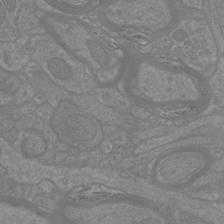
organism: Mouse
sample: Cortical neurons